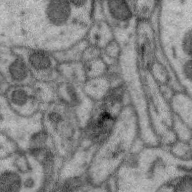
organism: Zebra finch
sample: Brain